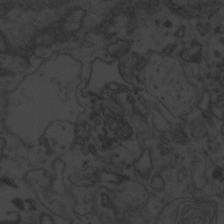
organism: Zebrafish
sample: Macrophage infected with Toxoplasma gondii